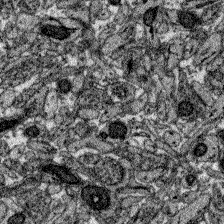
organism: Zebrafish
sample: Larval olfactory bulb